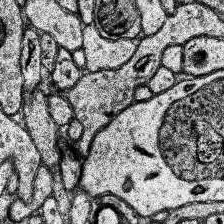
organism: Human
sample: Temporal Lobe